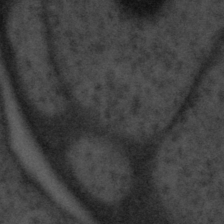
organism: Tuwongella immobilis